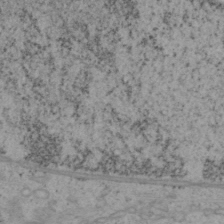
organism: Human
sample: HeLa cells